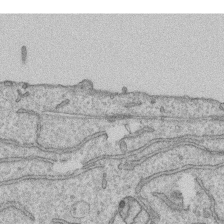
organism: Human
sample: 1205lu cells